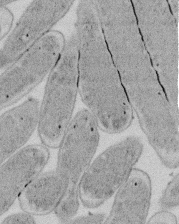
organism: E. coli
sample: Bacterial nucleoid